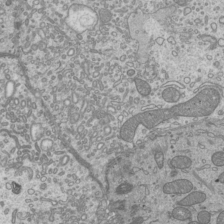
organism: Mouse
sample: Cilia; mouse epididymis